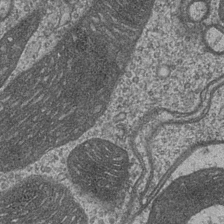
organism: Drosophila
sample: Optic medulla